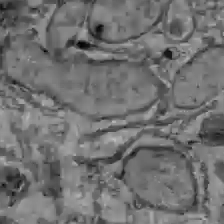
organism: C57BL Mouse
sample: Liver